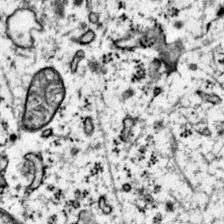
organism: Mouse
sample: Primary visual cortex